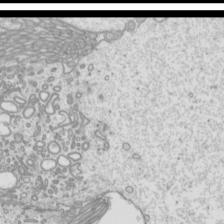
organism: Mouse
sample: Cilia; mouse epididymis